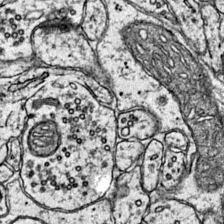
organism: Mouse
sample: Primary visual cortex